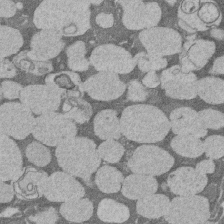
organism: Rat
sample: Salivary granule